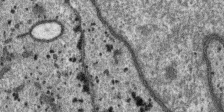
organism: Human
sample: Lung epithelial cells infected with SARS-CoV-2